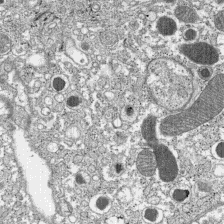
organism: C57BL Mouse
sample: Pancreatic islet